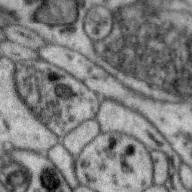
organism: Zebra finch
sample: Brain